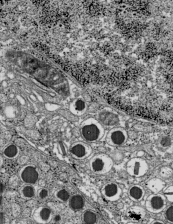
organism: C57BL Mouse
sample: Pancreatic islet